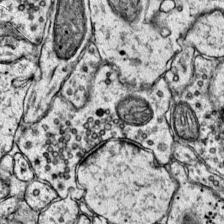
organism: Mouse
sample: Primary visual cortex